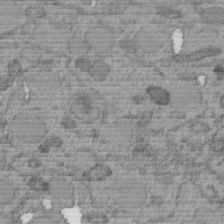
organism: C. elegans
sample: C. elegans embryo early stage